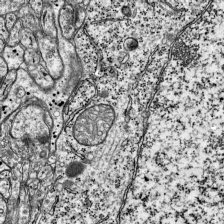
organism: Mouse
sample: Visual Cortex